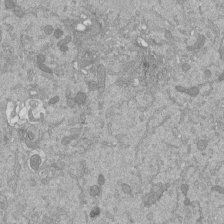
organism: Mouse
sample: ED-1 cell nuclei; centrioles